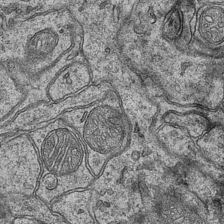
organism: Mouse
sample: CA1 Hippocampus